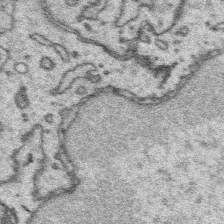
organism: Platynereis dumerilii